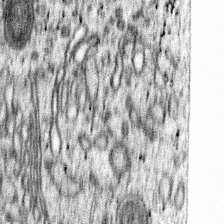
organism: Human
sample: HeLa cells